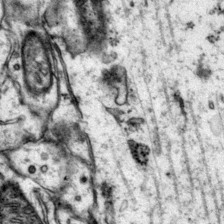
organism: Mouse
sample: Primary visual cortex